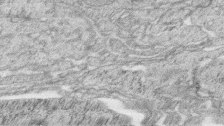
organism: Zebrafish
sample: synaptic ribbons in rod cells and cone cells